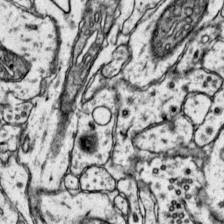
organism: Mouse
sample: Primary visual cortex